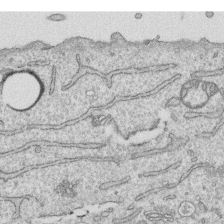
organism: Human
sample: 1205lu cells